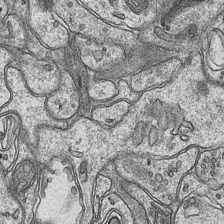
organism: Mouse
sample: CA1 Hippocampus